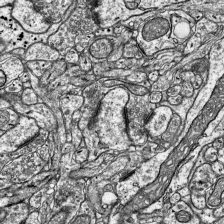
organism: Mouse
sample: Visual Cortex